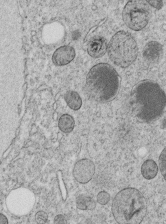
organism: C. elegans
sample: C. elegans embryo early stage